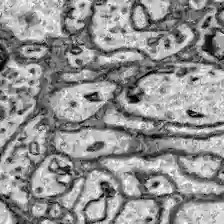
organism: Zebrafish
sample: Brain